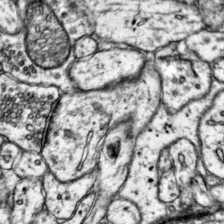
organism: Mouse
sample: Primary visual cortex